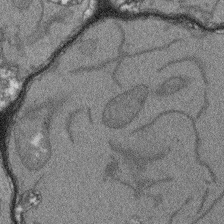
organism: Arabidopsis thaliana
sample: Root tip